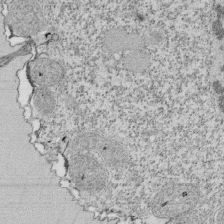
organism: Tetrahymena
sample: Cilia in tetrahymena